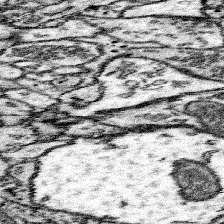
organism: Mouse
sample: Somatosensory cortex neuropil